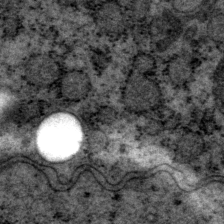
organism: P. pacificus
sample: Pharynx